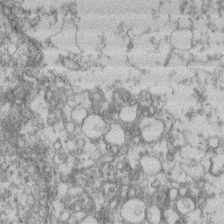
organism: Mouse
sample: T cell stromal cell synapse